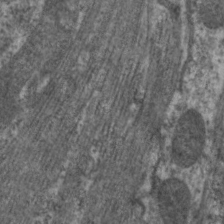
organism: C. elegans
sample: Pharynx